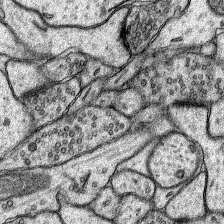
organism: Rat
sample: Hippocampus